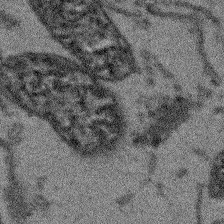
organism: Arabidopsis thaliana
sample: Root tip